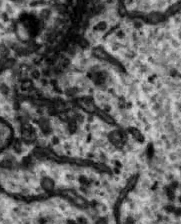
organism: Human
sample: HeLa cells